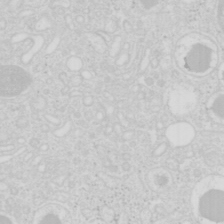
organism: Mouse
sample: Pancreas